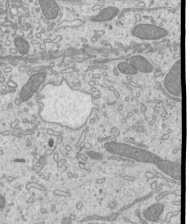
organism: Mouse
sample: Cilia; mouse epididymis